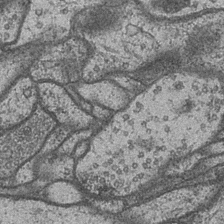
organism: Drosophila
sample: Optic medulla